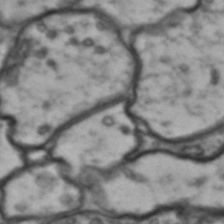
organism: Drosophila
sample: Brain